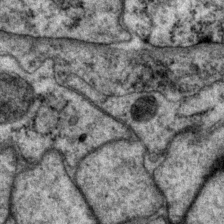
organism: P. pacificus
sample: Pharynx